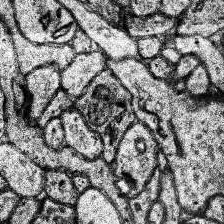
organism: Human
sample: Temporal Lobe